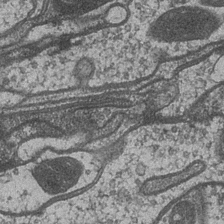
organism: Drosophila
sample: Optic medulla